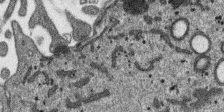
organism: Human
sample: Lung epithelial cells infected with SARS-CoV-2